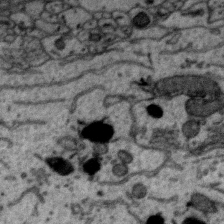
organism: Zebra finch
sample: Brain